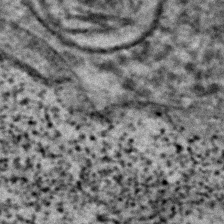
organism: C. elegans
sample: C. elegans embryo